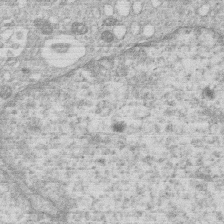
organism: Human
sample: Macrophage cells